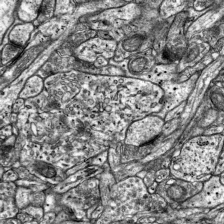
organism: Mouse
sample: Visual Cortex